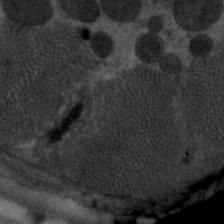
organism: C. elegans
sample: Pharynx